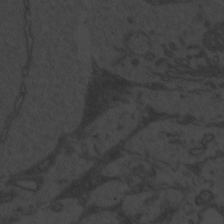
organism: Zebrafish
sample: Macrophage infected with Toxoplasma gondii